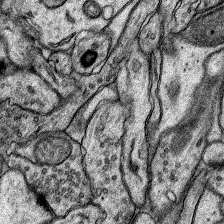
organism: Rat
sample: Hippocampus